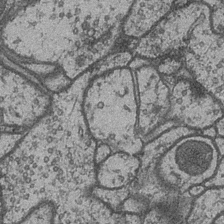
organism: Drosophila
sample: Optic medulla